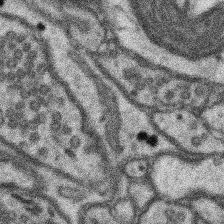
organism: Mouse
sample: Somatosensory cortex neuropil